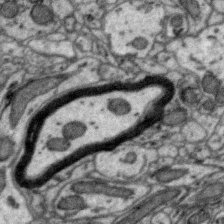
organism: Zebra finch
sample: Brain